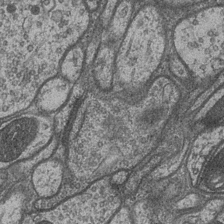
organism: Drosophila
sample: Optic medulla